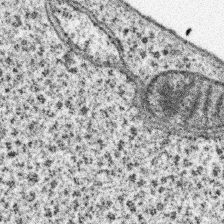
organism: Human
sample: HeLa cells